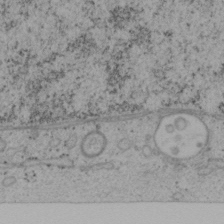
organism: Human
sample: HeLa cells